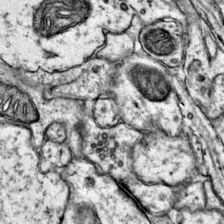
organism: Mouse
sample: Primary visual cortex